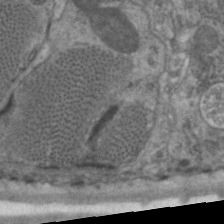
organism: C. elegans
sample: Pharynx